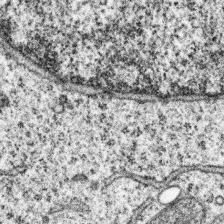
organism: Human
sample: HeLa cells